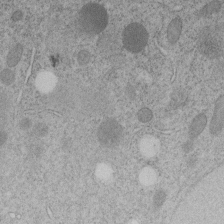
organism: C. elegans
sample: C. elegans embryo early stage